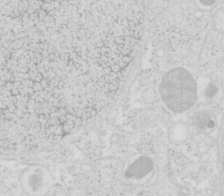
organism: Mouse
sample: Pancreas